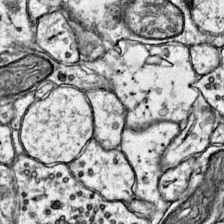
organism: Mouse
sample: Primary visual cortex